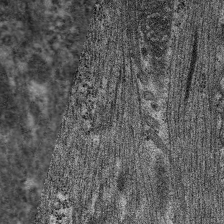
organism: C. elegans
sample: Pharynx